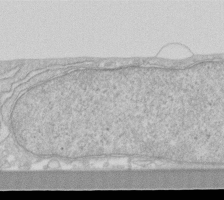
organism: Human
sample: Fibroblast cells